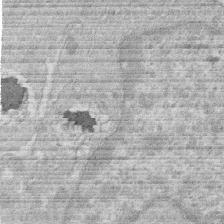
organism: Human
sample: Macrophage cells